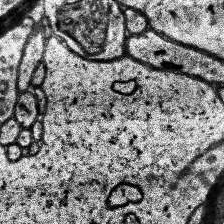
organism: Human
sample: Temporal Lobe